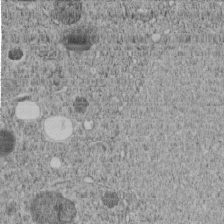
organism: C. elegans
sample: C. elegans embryo early stage